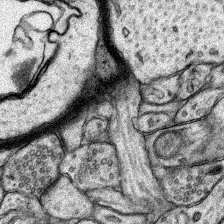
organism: Rat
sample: Hippocampus